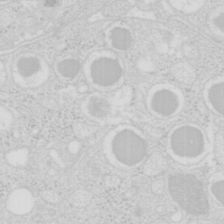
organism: Mouse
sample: Pancreas